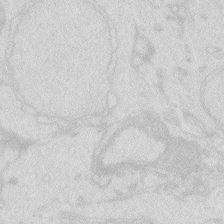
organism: Zebrafish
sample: Macrophage